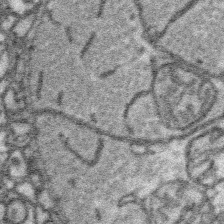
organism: Platynereis dumerilii